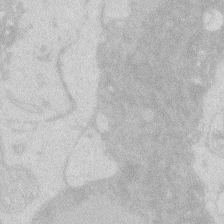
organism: Zebrafish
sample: Macrophage